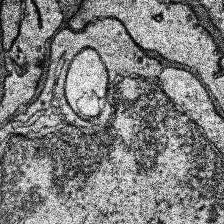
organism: Human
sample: Temporal Lobe